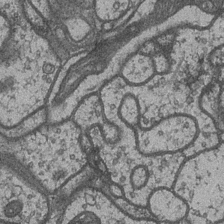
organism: Drosophila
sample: Optic medulla